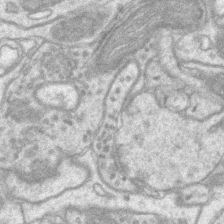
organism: Mouse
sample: CA1 Hippocampus